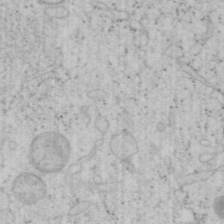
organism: Human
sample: HeLa cells